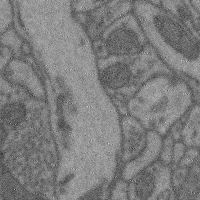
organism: Mouse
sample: Cerebral cortex